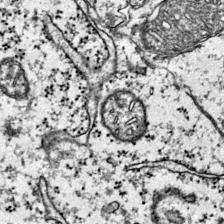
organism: Mouse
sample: Primary visual cortex